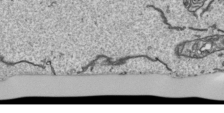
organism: Human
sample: Mitochondria in HCT116 cells